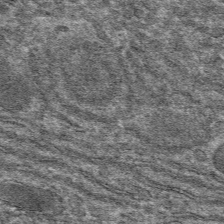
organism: Mouse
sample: Mouse hepatocytes